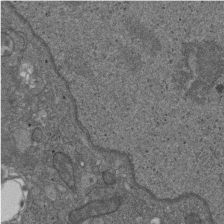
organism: Drosophila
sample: Nephrocyte